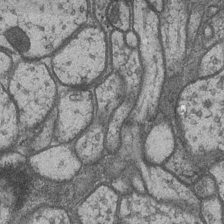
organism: Drosophila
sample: Optic medulla